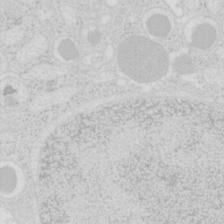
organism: Mouse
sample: Pancreas